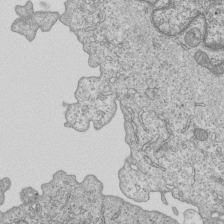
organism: Human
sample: MDA-MB-231 cells